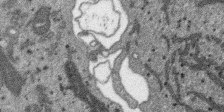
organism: Human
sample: Lung epithelial cells infected with SARS-CoV-2